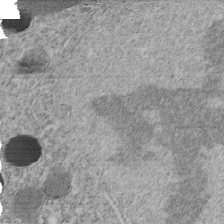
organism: C. elegans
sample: C. elegans embryo early stage